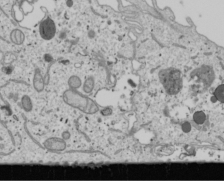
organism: Human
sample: Mitochondria in U2OS cells